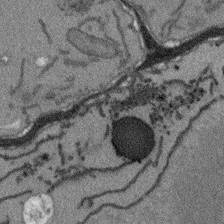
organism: Arabidopsis thaliana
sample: Root tip